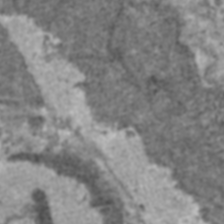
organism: C57BL Mouse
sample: Heart